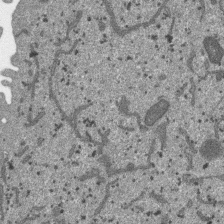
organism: Human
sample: Lung epithelial cells infected with SARS-CoV-2